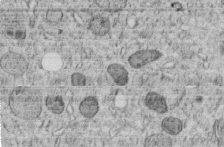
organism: C. elegans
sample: C. elegans embryo early stage